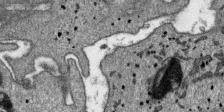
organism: Human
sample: Lung epithelial cells, uninfected (mock) control